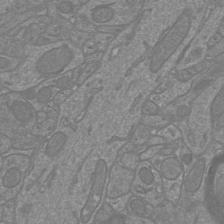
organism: Mouse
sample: Cortical neurons